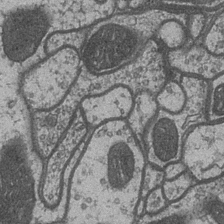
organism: Drosophila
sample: Optic medulla